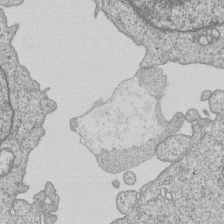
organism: Human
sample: MDA-MB-231 cells